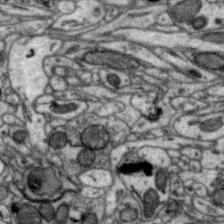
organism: Zebra finch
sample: Brain